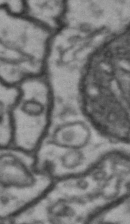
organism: Drosophila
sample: Brain